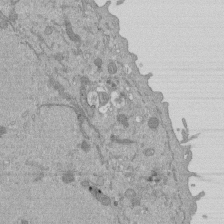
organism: Mouse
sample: ED-1 cell nuclei; centrioles